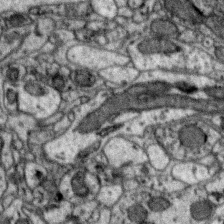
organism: Zebra finch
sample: Brain